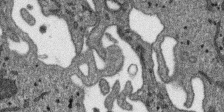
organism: Human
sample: Lung epithelial cells infected with SARS-CoV-2